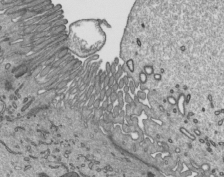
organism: Mouse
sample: Mouse epididymis efferent ductule cilia